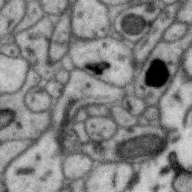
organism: Zebra finch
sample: Brain